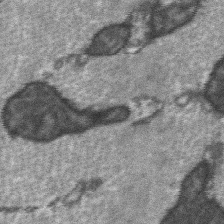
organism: C57BL Mouse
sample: Soleus